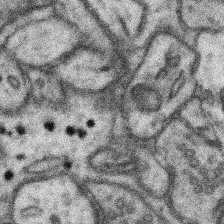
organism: Mouse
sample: Somatosensory cortex neuropil